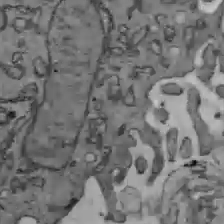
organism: C57BL Mouse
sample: Liver